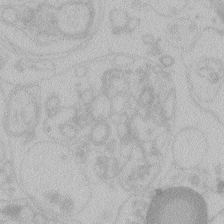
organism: Zebrafish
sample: Macrophage infected with Toxoplasma gondii